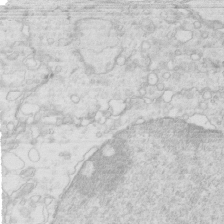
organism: Mouse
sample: Multiciliated cells